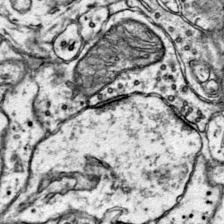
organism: Mouse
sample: Primary visual cortex